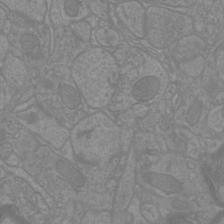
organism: Mouse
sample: Cortical neurons